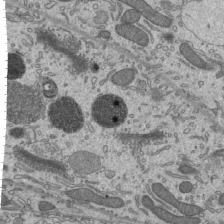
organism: Mouse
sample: Mouse epididymis efferent ductule cilia